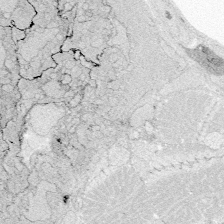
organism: Zebrafish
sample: Whole-Brain